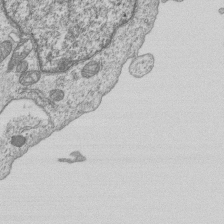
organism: Human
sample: MDA-MB-231 cells